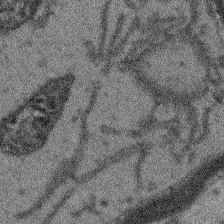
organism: Arabidopsis thaliana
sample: Root tip